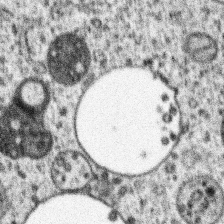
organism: Human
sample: HeLa cells